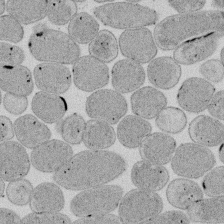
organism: E. coli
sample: Bacterial nucleoid